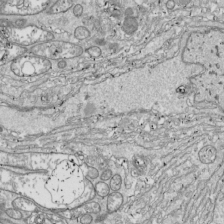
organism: Drosophila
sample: Cell division; meiosis; drosophila spermatocytes